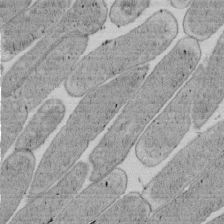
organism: E. coli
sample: Bacterial nucleoid